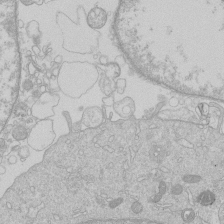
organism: Human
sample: Macrophage cells